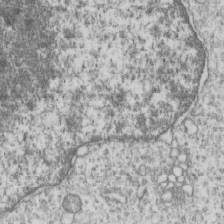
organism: Human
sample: MDA-MB-231 cells